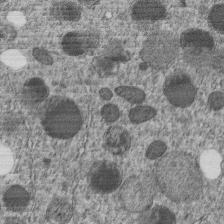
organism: C. elegans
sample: C. elegans embryo early stage